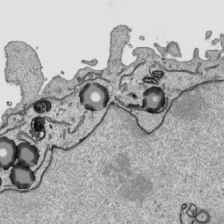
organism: Human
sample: Mitochondria in HCT116 cells